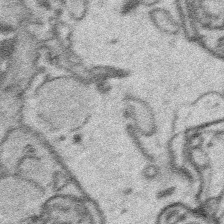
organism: Platynereis dumerilii